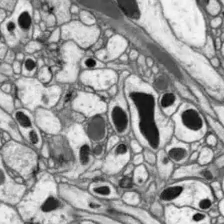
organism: Drosophila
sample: Optic lobe